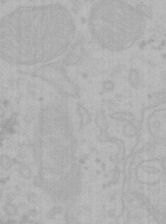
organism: Mouse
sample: Choroid plexus